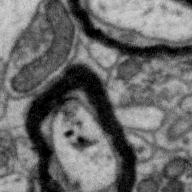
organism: Zebra finch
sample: Brain